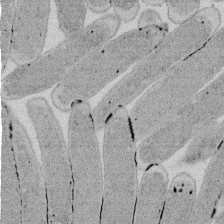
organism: E. coli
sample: Bacterial nucleoid